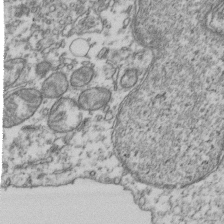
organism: Human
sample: Activated Jurkat CD4+ T cells